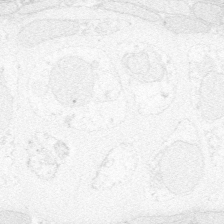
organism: Zebrafish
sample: Whole-Brain